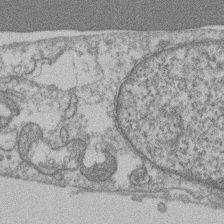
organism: Mouse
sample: T cell stromal cell synapse